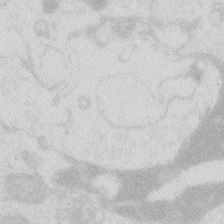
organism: Zebrafish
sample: Macrophage